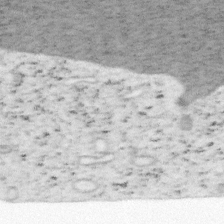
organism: Mouse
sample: OT-I killer T cells with ID8 ovarian cancer cells